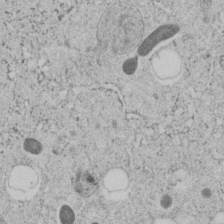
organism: C. elegans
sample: C. elegans embryo early stage